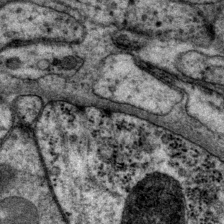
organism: P. pacificus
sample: Pharynx